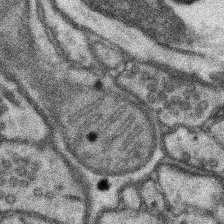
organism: Mouse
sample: Somatosensory cortex neuropil